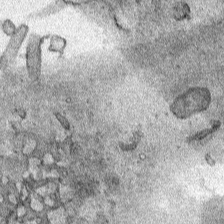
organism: Human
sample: Mitochondria in HCT116 cells